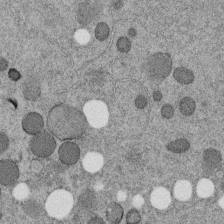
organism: C. elegans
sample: C. elegans embryo early stage